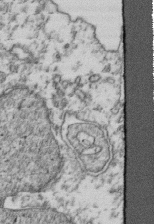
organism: Human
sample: Activated Jurkat CD4+ T cells